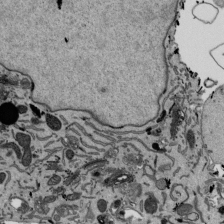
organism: Mouse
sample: ED-1 cell nuclei; centrioles